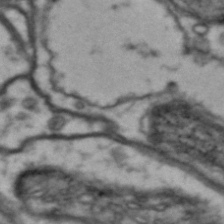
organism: Drosophila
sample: Brain